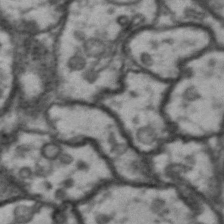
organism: Drosophila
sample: Brain